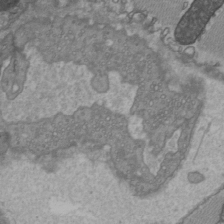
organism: C57BL Mouse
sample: Heart